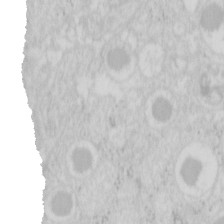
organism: Mouse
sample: Pancreas